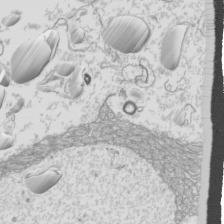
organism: Mouse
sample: Cilia; mouse epididymis